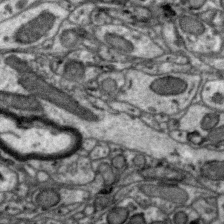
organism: Zebra finch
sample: Brain